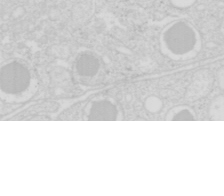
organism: Mouse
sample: Pancreas